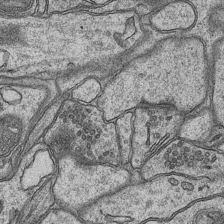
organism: Mouse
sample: CA1 Hippocampus